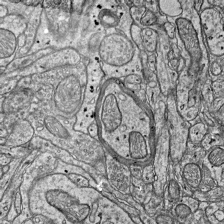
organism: Mouse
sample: Visual Cortex